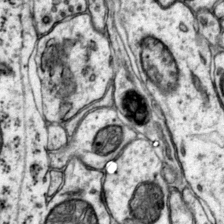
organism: Mouse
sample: Primary visual cortex